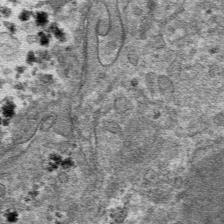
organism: Mouse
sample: Mouse hepatocytes